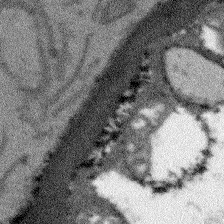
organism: Arabidopsis thaliana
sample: Root tip